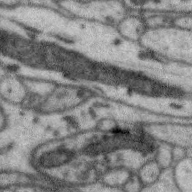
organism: Zebra finch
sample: Brain